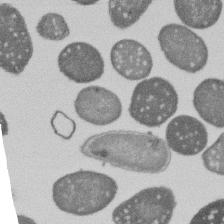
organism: E. coli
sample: Bacterial nucleoid